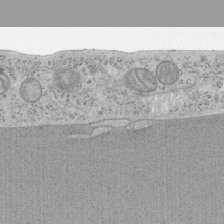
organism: Human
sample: HeLa cells